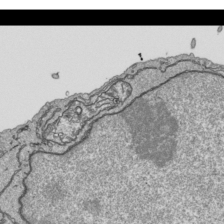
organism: Human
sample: Mitochondria in HCT116 cells